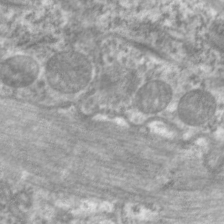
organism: C. elegans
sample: Pharynx